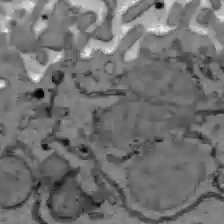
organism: C57BL Mouse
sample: Liver